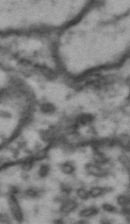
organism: Drosophila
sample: Brain